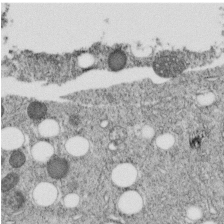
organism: C. elegans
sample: C. elegans embryo early stage